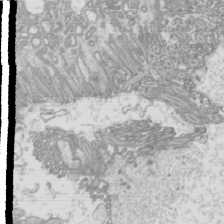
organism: Mouse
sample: Cilia; mouse epididymis